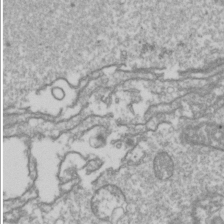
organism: Drosophila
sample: Cell division; meiosis; drosophila spermatocytes